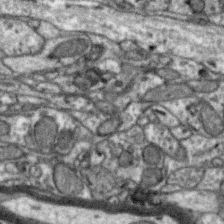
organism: Zebra finch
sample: Brain